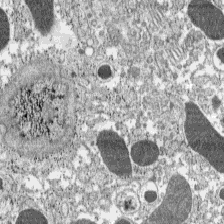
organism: C57BL Mouse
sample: Pancreatic islet